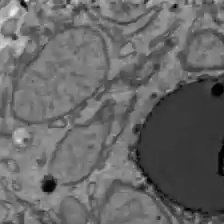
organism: C57BL Mouse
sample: Liver